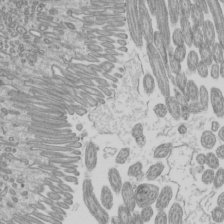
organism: Mouse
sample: Cilia; mouse epididymis